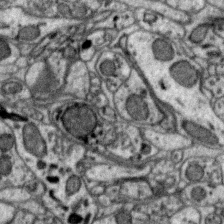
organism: Zebra finch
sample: Brain